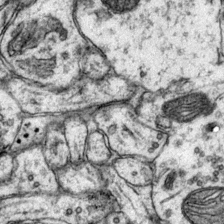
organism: Mouse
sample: Primary visual cortex